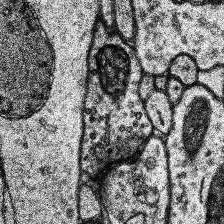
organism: Human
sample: Temporal Lobe